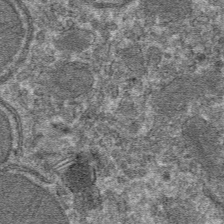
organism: Mouse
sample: Mouse hepatocytes